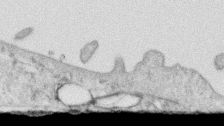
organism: Human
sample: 1205lu cells